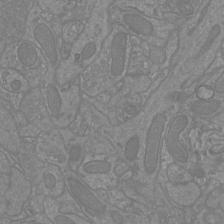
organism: Mouse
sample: Cortical neurons